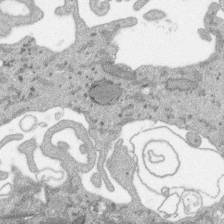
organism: Human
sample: Lung epithelial cells infected with SARS-CoV-2